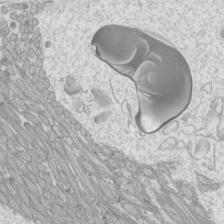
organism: Mouse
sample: Cilia; mouse epididymis